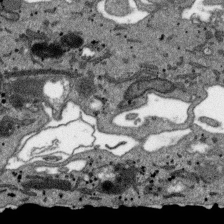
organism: Human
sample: Lung epithelial cells, uninfected (mock) control